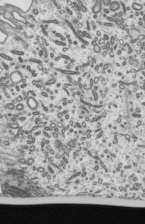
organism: Mouse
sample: Mouse epididymis efferent ductule cilia